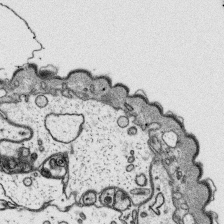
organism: Platynereis dumerilii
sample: Parapodia